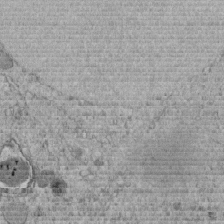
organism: C. elegans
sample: C. elegans embryo early stage